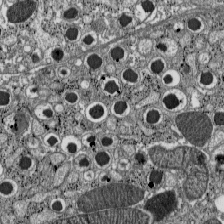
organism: C57BL Mouse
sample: Pancreatic islet